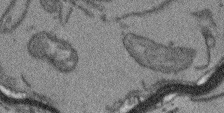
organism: Arabidopsis thaliana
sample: Root tip